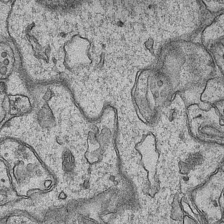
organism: Mouse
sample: CA1 Hippocampus